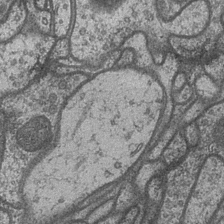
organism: Drosophila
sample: Optic medulla